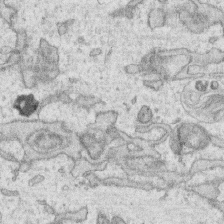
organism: Human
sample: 1205lu cells